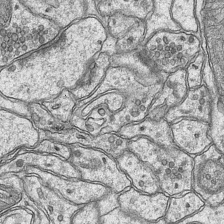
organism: Mouse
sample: CA1 Hippocampus